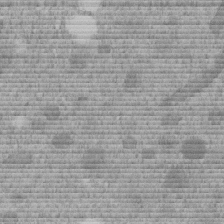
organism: C. elegans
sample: C. elegans embryo early stage